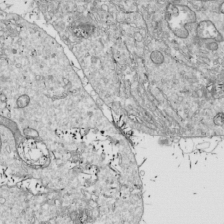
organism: Drosophila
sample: Cell division; meiosis; drosophila spermatocytes